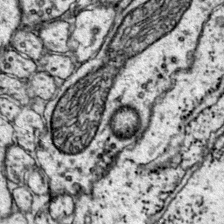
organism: Mouse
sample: Primary visual cortex